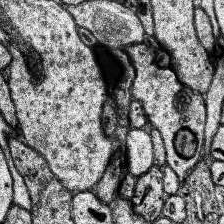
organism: Human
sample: Temporal Lobe